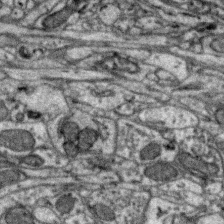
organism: Zebra finch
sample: Brain